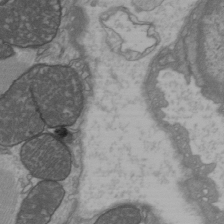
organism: C57BL Mouse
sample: Heart